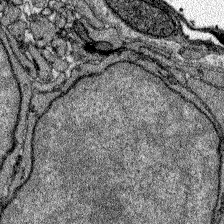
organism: Zebrafish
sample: Larval olfactory bulb